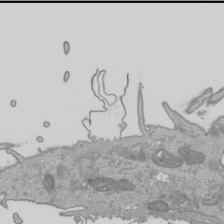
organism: Human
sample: Mitochondria in HCT116 cells